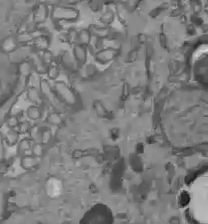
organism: C57BL Mouse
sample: Liver